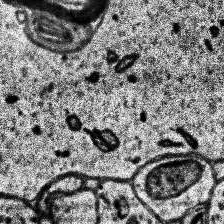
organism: Human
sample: Temporal Lobe